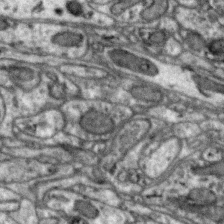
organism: Zebra finch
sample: Brain